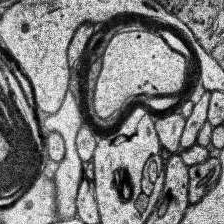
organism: Human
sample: Temporal Lobe